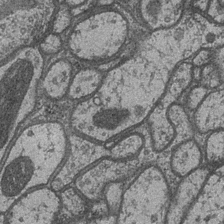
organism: Drosophila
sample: Optic medulla